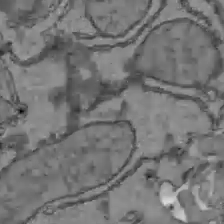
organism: C57BL Mouse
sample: Liver